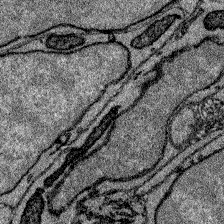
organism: Zebrafish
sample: Larval olfactory bulb